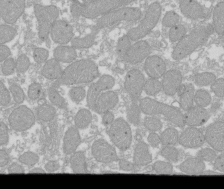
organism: Xenopus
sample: Cilia; centrioles in frog embryo cells